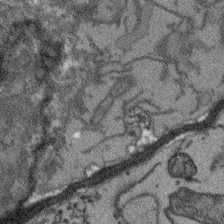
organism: Arabidopsis thaliana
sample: Root tip